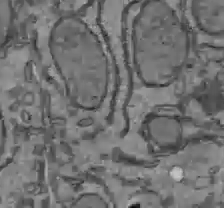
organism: C57BL Mouse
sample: Liver